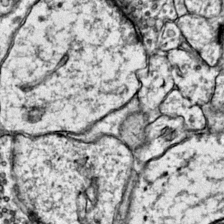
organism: Mouse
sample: Primary visual cortex